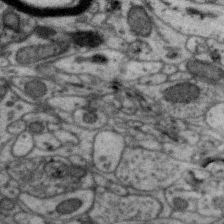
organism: Zebra finch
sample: Brain